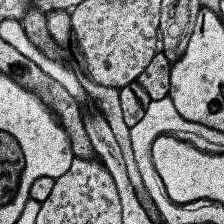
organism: Human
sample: Temporal Lobe